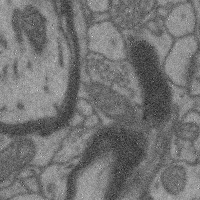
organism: Mouse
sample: Cerebral cortex